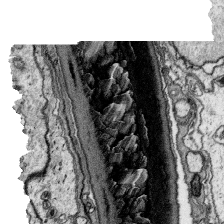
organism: Platynereis dumerilii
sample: Parapodia